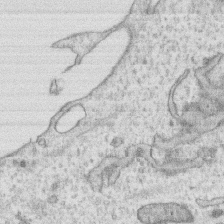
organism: Human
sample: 1205lu cells